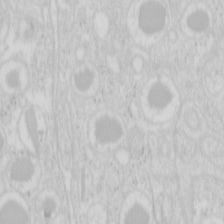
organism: Mouse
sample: Pancreas